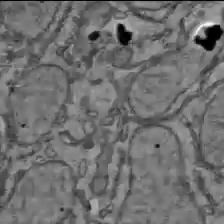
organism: C57BL Mouse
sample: Liver